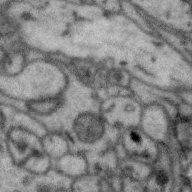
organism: Zebra finch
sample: Brain